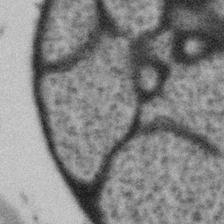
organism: Gemmata obscuriglobus